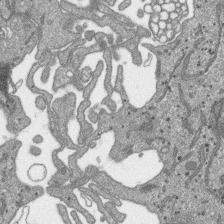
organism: Human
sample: Lung epithelial cells infected with SARS-CoV-2